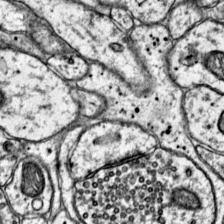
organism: Mouse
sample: Primary visual cortex